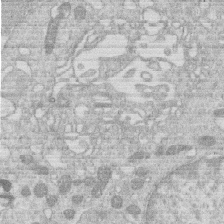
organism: Human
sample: Macrophage cells